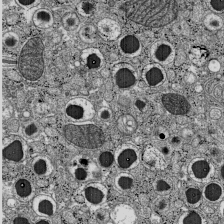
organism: C57BL Mouse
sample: Pancreatic islet